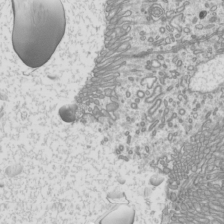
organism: Mouse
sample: Cilia; mouse epididymis